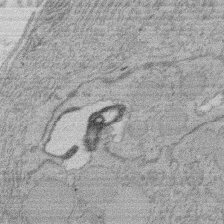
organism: Rat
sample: Salivary granule